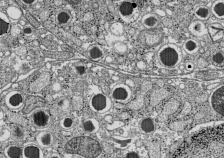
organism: C57BL Mouse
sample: Pancreatic islet